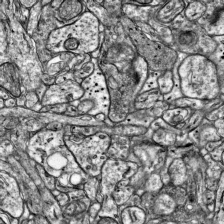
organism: Mouse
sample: Visual Cortex